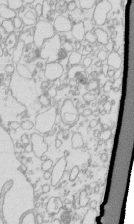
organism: Mouse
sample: Macrophages